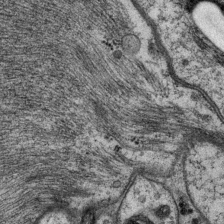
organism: P. pacificus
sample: Pharynx